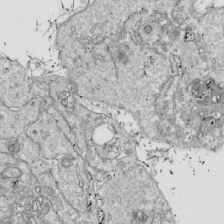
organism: Drosophila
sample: Cell division; meiosis; drosophila spermatocytes